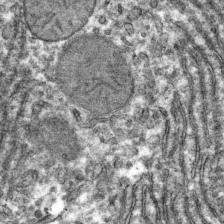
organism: Mouse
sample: Mouse hepatocytes